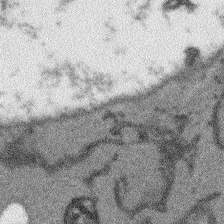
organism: Arabidopsis thaliana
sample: Root tip